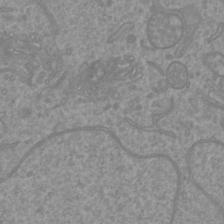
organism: Mouse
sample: Cortical neurons